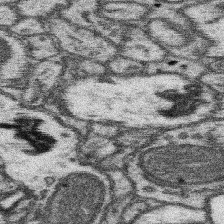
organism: Mouse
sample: Somatosensory cortex neuropil